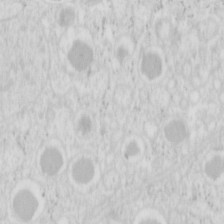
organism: Mouse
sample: Pancreas